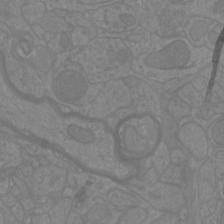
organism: Mouse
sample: Cortical neurons